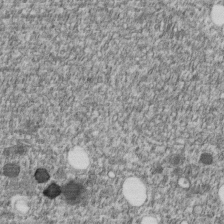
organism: C. elegans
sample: C. elegans embryo early stage